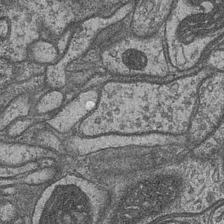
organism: Drosophila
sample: Optic medulla